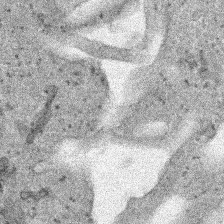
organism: Human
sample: Mitochondria in HCT116 cells